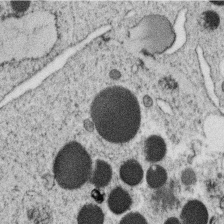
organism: C. elegans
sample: C. elegans oocyte; sperm cells